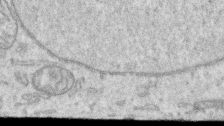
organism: Human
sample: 1205lu cells